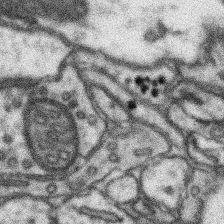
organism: Mouse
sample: Somatosensory cortex neuropil